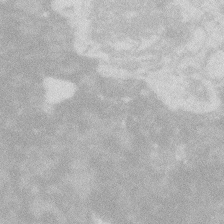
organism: Zebrafish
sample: Macrophage